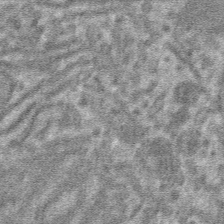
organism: Mouse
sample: Mouse hepatocytes